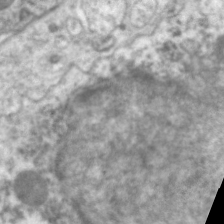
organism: C. elegans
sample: Pharynx